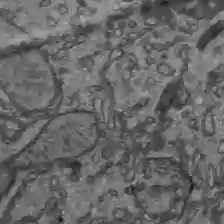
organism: C57BL Mouse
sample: Liver